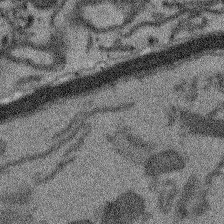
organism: Arabidopsis thaliana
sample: Root tip